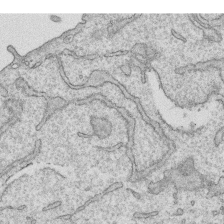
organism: Human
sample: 1205lu cells